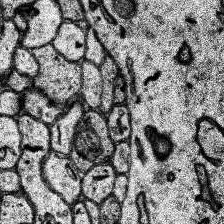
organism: Human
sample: Temporal Lobe